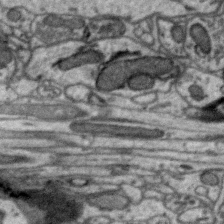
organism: Zebra finch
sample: Brain